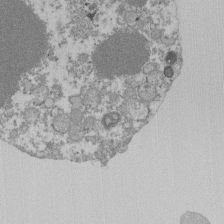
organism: Mouse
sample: Activated Pmel transgenic CD8+ T Cells